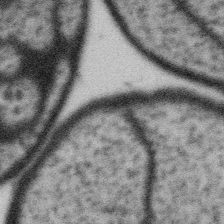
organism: Gemmata obscuriglobus